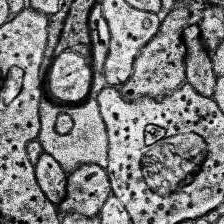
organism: Human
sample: Temporal Lobe